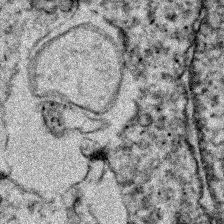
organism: Zebrafish